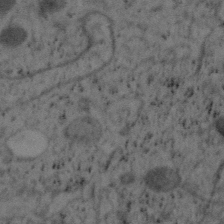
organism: Human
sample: HeLa cells